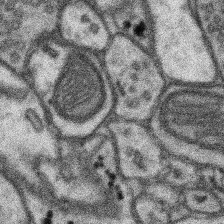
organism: Mouse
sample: Somatosensory cortex neuropil